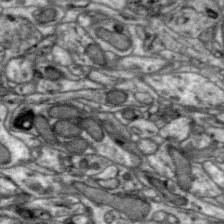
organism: Zebra finch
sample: Brain